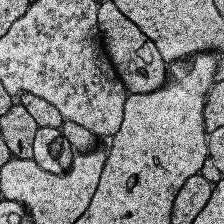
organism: Human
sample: Temporal Lobe